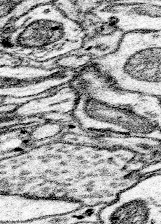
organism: Mouse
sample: Somatosensory cortex neuropil